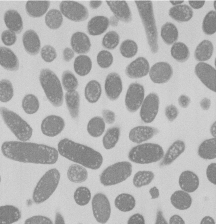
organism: E. coli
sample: Bacterial nucleoid